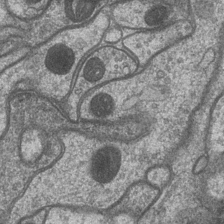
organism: Drosophila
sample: Optic medulla